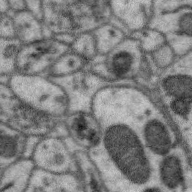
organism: Zebra finch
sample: Brain